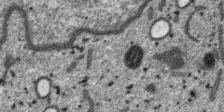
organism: Human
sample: Lung epithelial cells infected with SARS-CoV-2